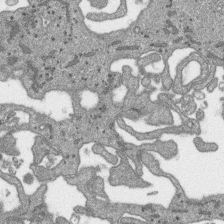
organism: Human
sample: Lung epithelial cells infected with SARS-CoV-2